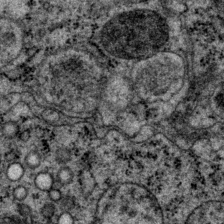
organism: P. pacificus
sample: Pharynx